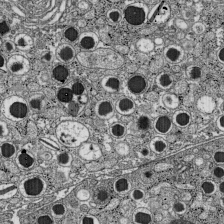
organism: C57BL Mouse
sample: Pancreatic islet